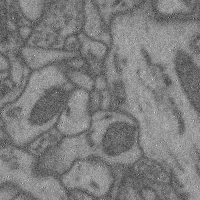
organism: Mouse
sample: Cerebral cortex